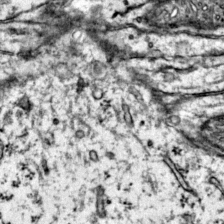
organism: Mouse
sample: Primary visual cortex